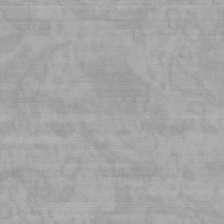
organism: Mouse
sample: Choroid plexus